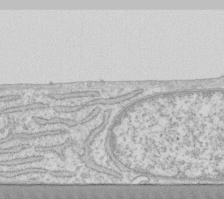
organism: Human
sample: Fibroblast cells